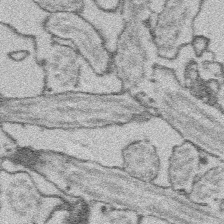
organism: Platynereis dumerilii